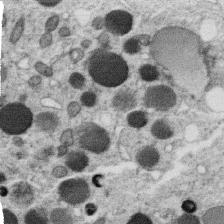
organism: C. elegans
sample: C. elegans oocyte; sperm cells